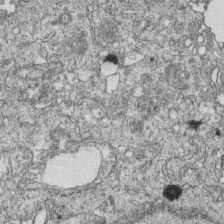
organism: Human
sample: HeLa cell HIV synapse